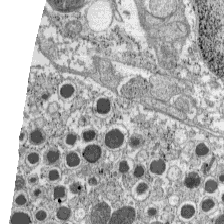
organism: C57BL Mouse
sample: Pancreatic islet